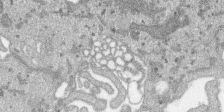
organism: Human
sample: Lung epithelial cells infected with SARS-CoV-2